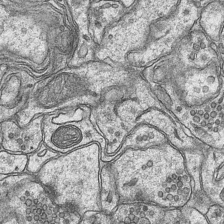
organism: Mouse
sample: CA1 Hippocampus